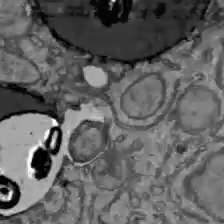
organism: C57BL Mouse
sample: Liver